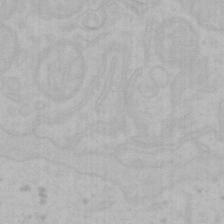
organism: Mouse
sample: Choroid plexus